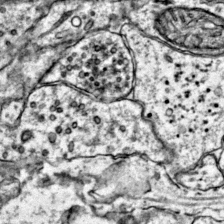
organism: Mouse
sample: Primary visual cortex